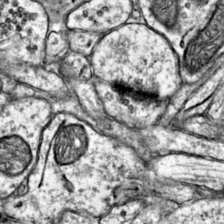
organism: Mouse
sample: Primary visual cortex